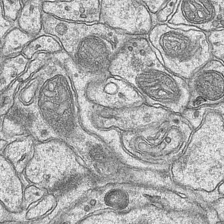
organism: Mouse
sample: CA1 Hippocampus